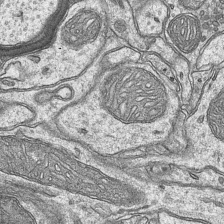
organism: Mouse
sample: CA1 Hippocampus